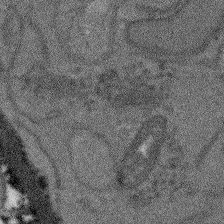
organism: Arabidopsis thaliana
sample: Root tip